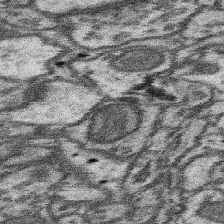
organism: Mouse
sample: Somatosensory cortex neuropil